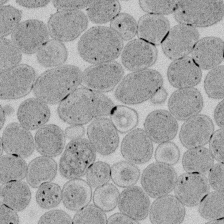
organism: E. coli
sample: Bacterial nucleoid